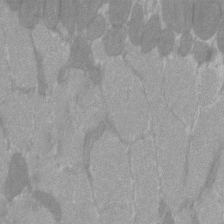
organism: C57BL Mouse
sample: Tibialis anterior muscle cell